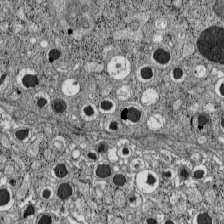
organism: C57BL Mouse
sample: Pancreatic islet